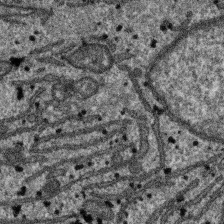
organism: Human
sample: Lung epithelial cells infected with SARS-CoV-2